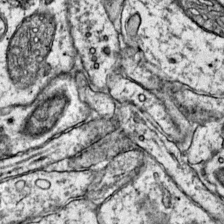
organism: Mouse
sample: Primary visual cortex